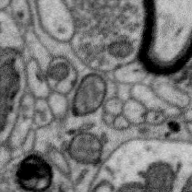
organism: Zebra finch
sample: Brain